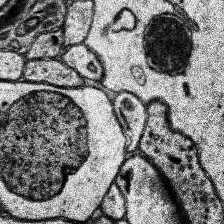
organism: Human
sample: Temporal Lobe